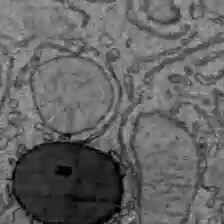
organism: C57BL Mouse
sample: Liver